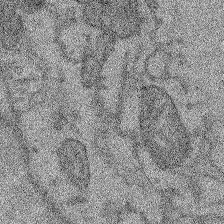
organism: Human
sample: HeLa cells